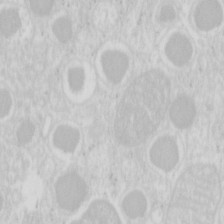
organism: Mouse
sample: Pancreas